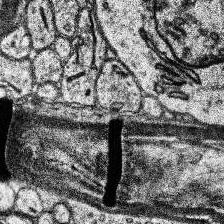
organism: Human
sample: Temporal Lobe